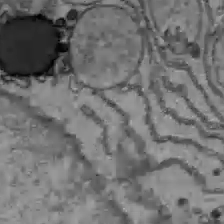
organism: C57BL Mouse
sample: Liver